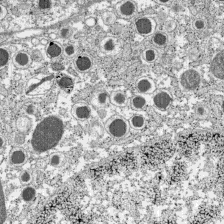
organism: C57BL Mouse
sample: Pancreatic islet